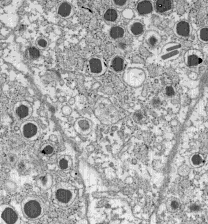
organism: C57BL Mouse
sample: Pancreatic islet